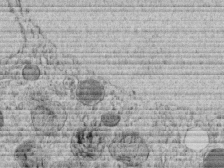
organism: C. elegans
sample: C. elegans embryo early stage